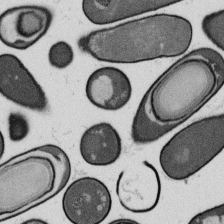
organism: B. subtilis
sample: Bacterial spore